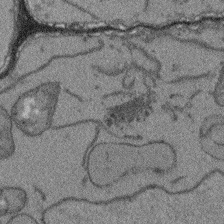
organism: Arabidopsis thaliana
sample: Root tip